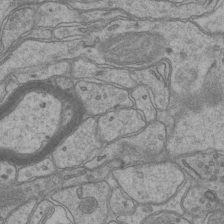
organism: Mouse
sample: CA1 Hippocampus